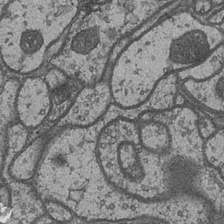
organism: Drosophila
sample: Optic medulla